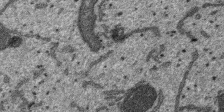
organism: Human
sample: Lung epithelial cells infected with SARS-CoV-2